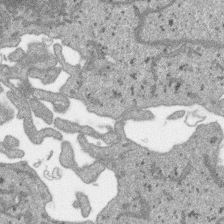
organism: Human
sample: Lung epithelial cells infected with SARS-CoV-2